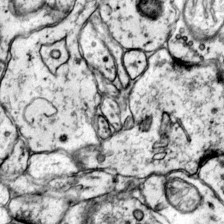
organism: Mouse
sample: Primary visual cortex